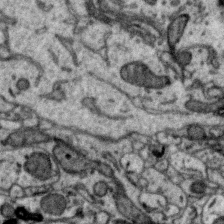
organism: Zebra finch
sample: Brain